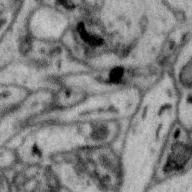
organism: Zebra finch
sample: Brain